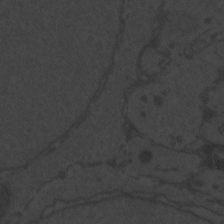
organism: Zebrafish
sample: Macrophage infected with Toxoplasma gondii